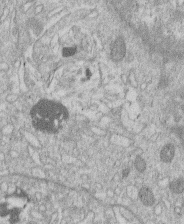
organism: Human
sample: Macrophage cells